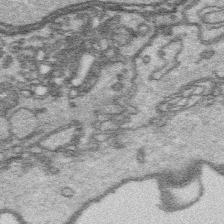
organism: Platynereis dumerilii